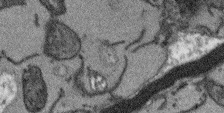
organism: Arabidopsis thaliana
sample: Root tip